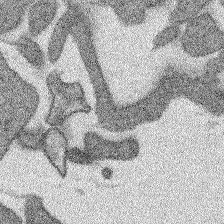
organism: Human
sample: HeLa cells